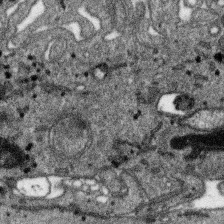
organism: Human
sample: Lung epithelial cells infected with SARS-CoV-2